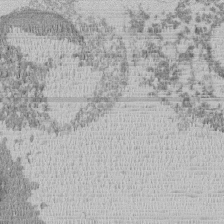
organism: Mouse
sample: Activated Pmel transgenic CD8+ T Cells